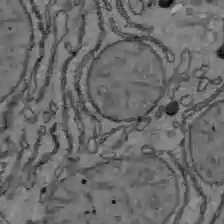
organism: C57BL Mouse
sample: Liver